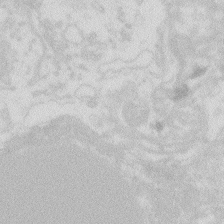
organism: Zebrafish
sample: Macrophage